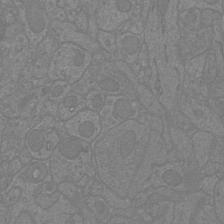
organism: Mouse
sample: Cortical neurons